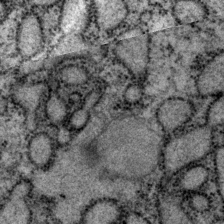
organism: P. pacificus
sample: Pharynx